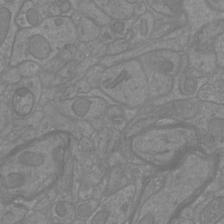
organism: Mouse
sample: Cortical neurons